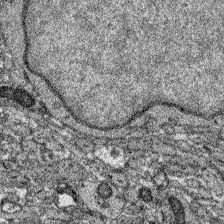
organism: Zebrafish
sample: Larval olfactory bulb